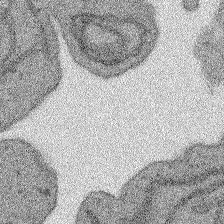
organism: Human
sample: HeLa cells